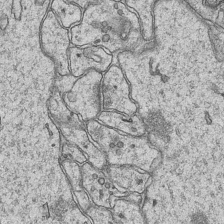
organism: Mouse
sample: CA1 Hippocampus